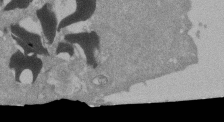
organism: Mouse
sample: ED-1 cell nuclei; centrioles